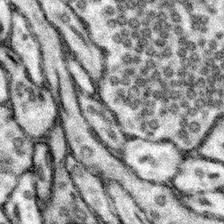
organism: Mouse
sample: Somatosensory cortex neuropil